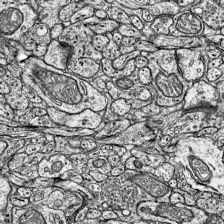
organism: Mouse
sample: Visual Cortex